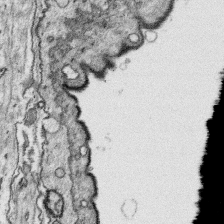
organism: Platynereis dumerilii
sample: Parapodia